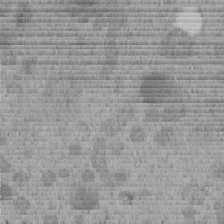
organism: C. elegans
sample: C. elegans embryo early stage